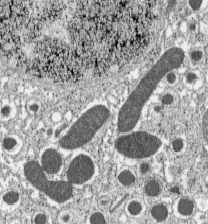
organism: C57BL Mouse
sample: Pancreatic islet